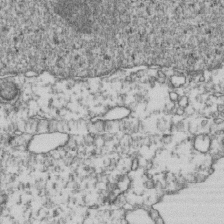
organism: Human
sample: Activated Jurkat CD4+ T cells